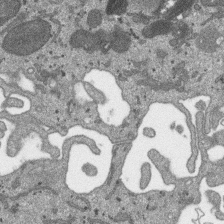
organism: Human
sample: Lung epithelial cells infected with SARS-CoV-2